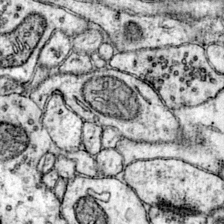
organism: Mouse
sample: Primary visual cortex